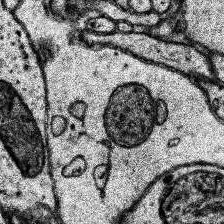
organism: Human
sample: Temporal Lobe